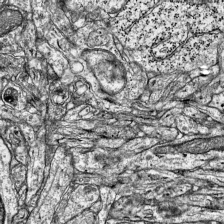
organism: Mouse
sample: Visual Cortex